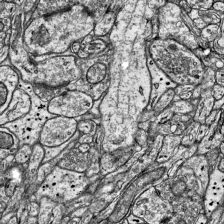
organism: Mouse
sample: Visual Cortex